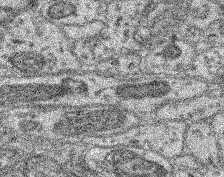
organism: Mouse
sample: Retina